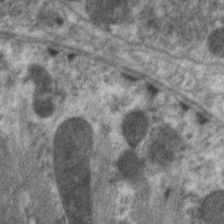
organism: C. elegans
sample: Pharynx